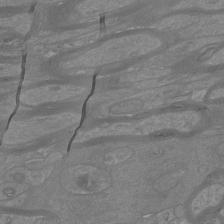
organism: Mouse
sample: Cortical neurons